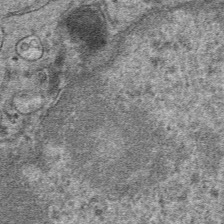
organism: Mouse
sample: Mouse hepatocytes